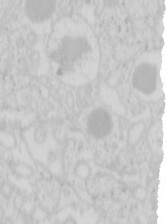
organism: Mouse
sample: Pancreas